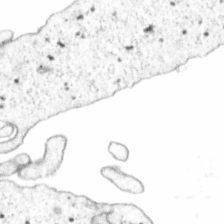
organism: Human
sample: HeLa cells